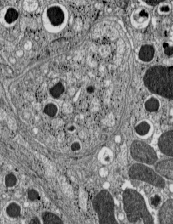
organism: C57BL Mouse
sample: Pancreatic islet